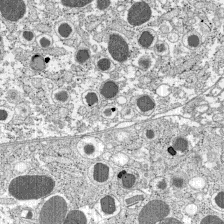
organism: C57BL Mouse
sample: Pancreatic islet